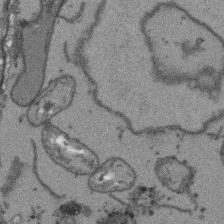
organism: Arabidopsis thaliana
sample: Root tip